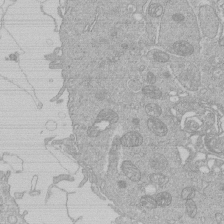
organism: Human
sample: Macrophage cells